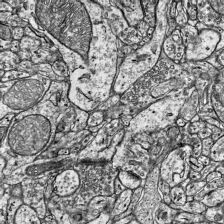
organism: Mouse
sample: Visual Cortex